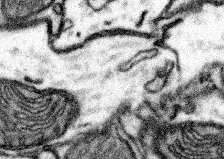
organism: Mouse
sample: Somatosensory cortex neuropil